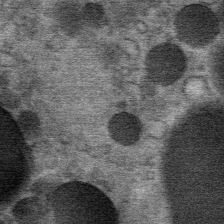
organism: Mouse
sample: Mouse Salivary gland